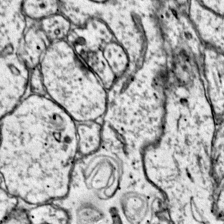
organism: Mouse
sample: Primary visual cortex